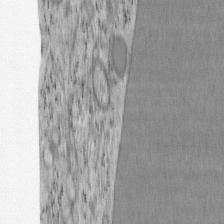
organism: Human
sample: HeLa cells